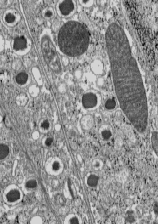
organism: C57BL Mouse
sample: Pancreatic islet